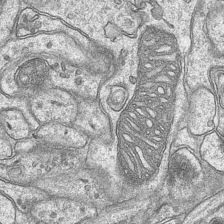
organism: Mouse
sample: CA1 Hippocampus